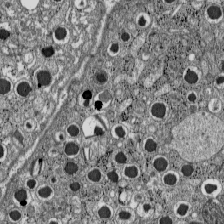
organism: C57BL Mouse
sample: Pancreatic islet